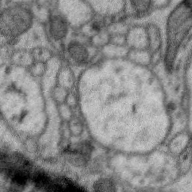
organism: Zebra finch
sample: Brain